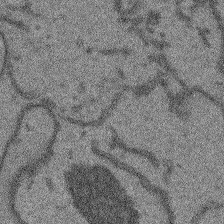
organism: Arabidopsis thaliana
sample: Root tip